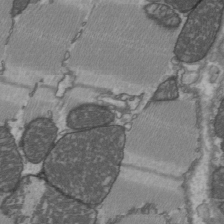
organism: C57BL Mouse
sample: Heart